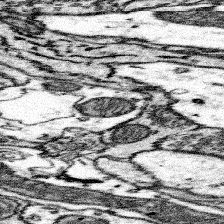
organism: Mouse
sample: Somatosensory cortex neuropil